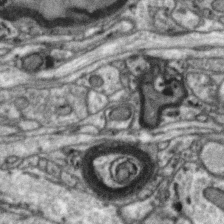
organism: Zebra finch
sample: Brain